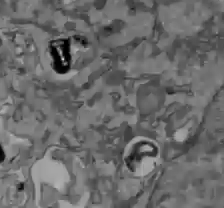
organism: C57BL Mouse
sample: Liver